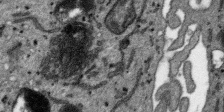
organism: Human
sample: Lung epithelial cells, uninfected (mock) control